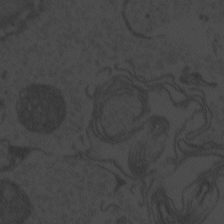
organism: Zebrafish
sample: Macrophage infected with Toxoplasma gondii